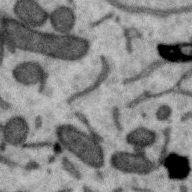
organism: Zebra finch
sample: Brain